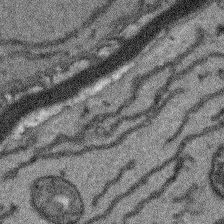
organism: Arabidopsis thaliana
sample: Root tip